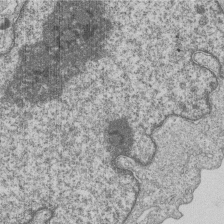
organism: Human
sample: MDA-MB-231 cells